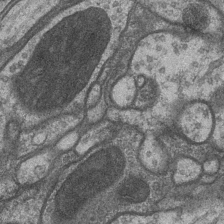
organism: Drosophila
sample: Optic medulla